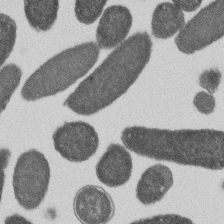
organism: E. coli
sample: Bacterial nucleoid